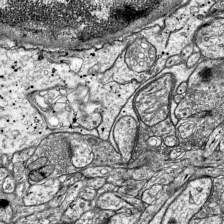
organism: Mouse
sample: Visual Cortex